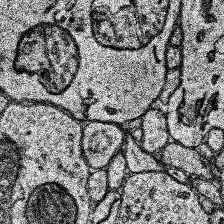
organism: Human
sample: Temporal Lobe